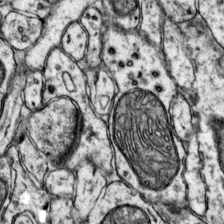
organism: Mouse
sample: Primary visual cortex